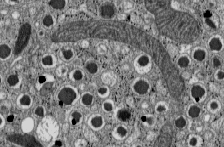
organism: C57BL Mouse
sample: Pancreatic islet